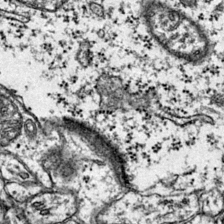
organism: Mouse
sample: Primary visual cortex